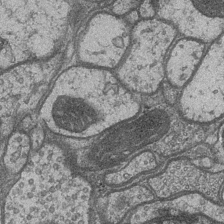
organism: Drosophila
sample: Optic medulla